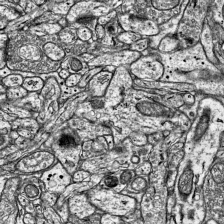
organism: Mouse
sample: Visual Cortex